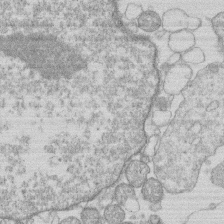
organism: Human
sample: Macrophage cells